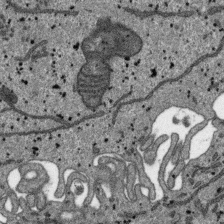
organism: Human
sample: Lung epithelial cells, uninfected (mock) control